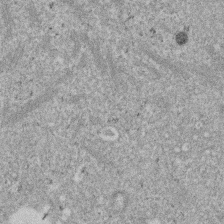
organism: Mouse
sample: Dividing mouse embryo 1 cell stage